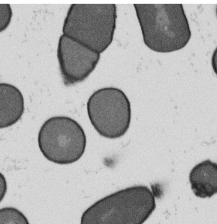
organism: B. subtilis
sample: Bacterial spore